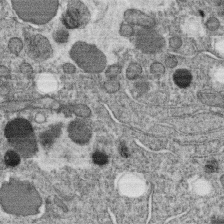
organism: C. elegans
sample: C. elegans oocyte; sperm cells